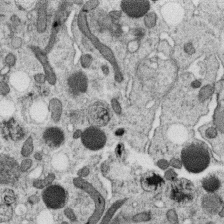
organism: C. elegans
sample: C. elegans oocyte; sperm cells